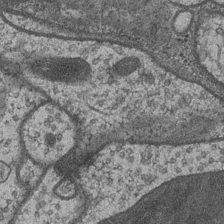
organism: Drosophila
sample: Optic medulla